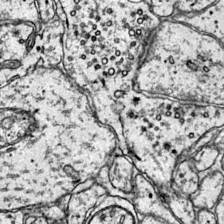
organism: Mouse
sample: Primary visual cortex